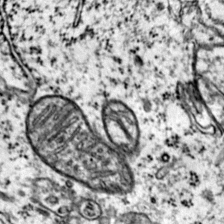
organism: Mouse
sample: Primary visual cortex